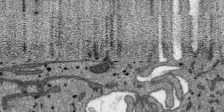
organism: Human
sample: Lung epithelial cells, uninfected (mock) control